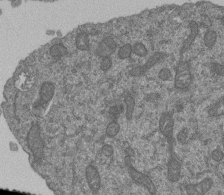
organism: Human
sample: Retinal organoid Rod and Cone cells